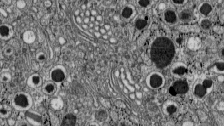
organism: C57BL Mouse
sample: Pancreatic islet